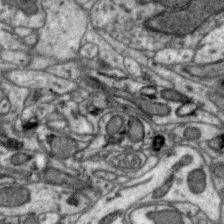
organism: Zebra finch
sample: Brain